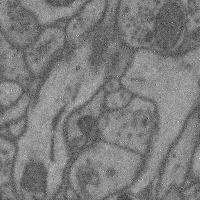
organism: Mouse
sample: Cerebral cortex